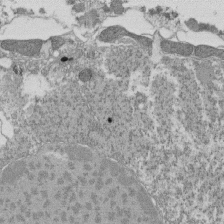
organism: Tetrahymena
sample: Cilia in tetrahymena